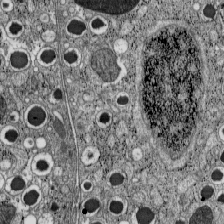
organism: C57BL Mouse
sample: Pancreatic islet